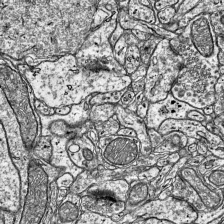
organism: Mouse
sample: Visual Cortex